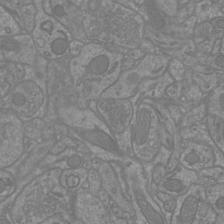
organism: Mouse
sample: Cortical neurons